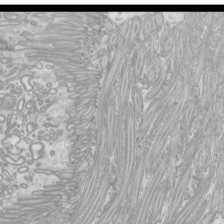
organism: Mouse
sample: Cilia; mouse epididymis